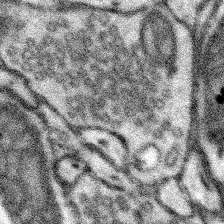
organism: Mouse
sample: Somatosensory cortex neuropil